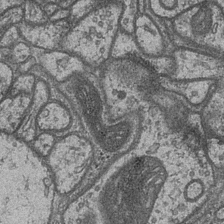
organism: Drosophila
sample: Optic medulla